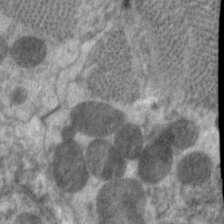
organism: C. elegans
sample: Pharynx